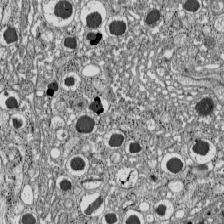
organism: C57BL Mouse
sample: Pancreatic islet